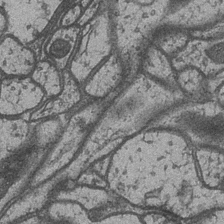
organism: Drosophila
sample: Optic medulla